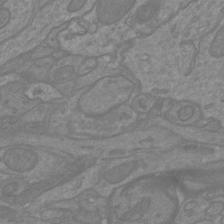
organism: Mouse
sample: Cortical neurons